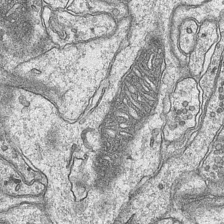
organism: Mouse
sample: CA1 Hippocampus